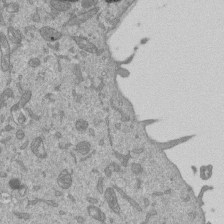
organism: Mouse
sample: ED-1 cell nuclei; centrioles